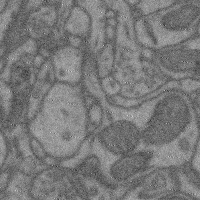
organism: Mouse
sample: Cerebral cortex